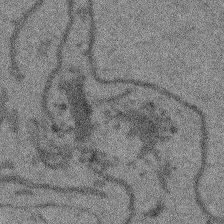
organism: Arabidopsis thaliana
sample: Root tip